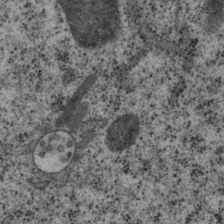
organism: P. pacificus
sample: Pharynx